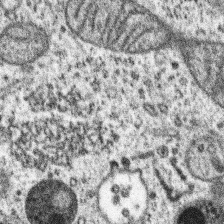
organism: Human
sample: HeLa cells